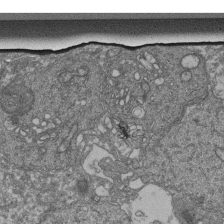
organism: Human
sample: Retinal organoid Rod and Cone cells